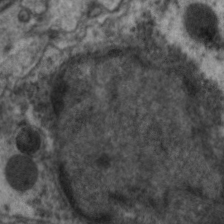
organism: C. elegans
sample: Pharynx